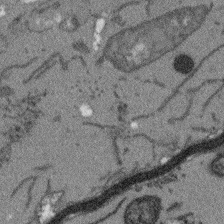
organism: Arabidopsis thaliana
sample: Root tip